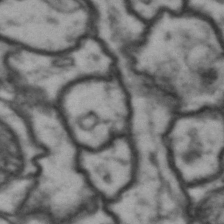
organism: Drosophila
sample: Brain